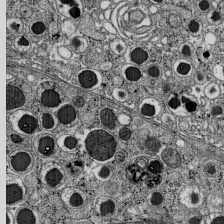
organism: C57BL Mouse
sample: Pancreatic islet